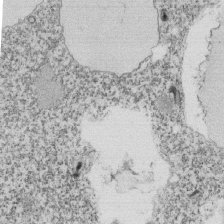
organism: Tetrahymena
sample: Cilia in tetrahymena